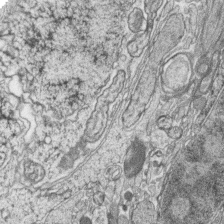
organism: Zebrafish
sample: synaptic ribbons in rod cells and cone cells